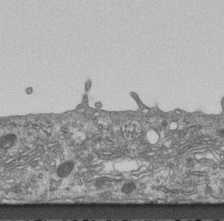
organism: Mouse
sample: Centriole in ependymal cells